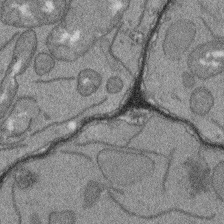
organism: Arabidopsis thaliana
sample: Root tip